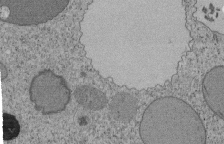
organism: Tetrahymena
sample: Cilia in tetrahymena